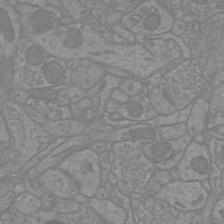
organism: Mouse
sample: Cortical neurons